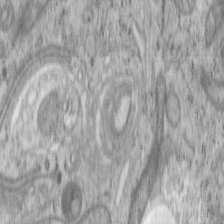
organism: Human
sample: HeLa cells